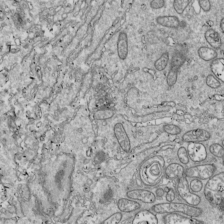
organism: Drosophila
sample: Cell division; meiosis; drosophila spermatocytes